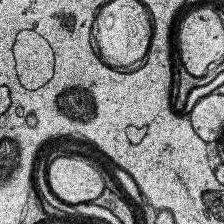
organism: Human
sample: Temporal Lobe